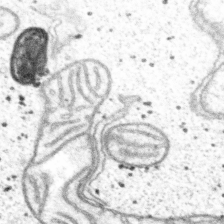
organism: Human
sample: HeLa cells